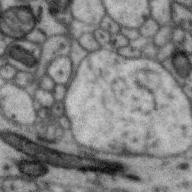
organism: Zebra finch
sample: Brain